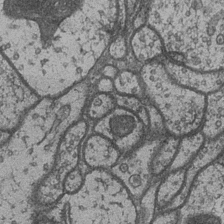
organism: Drosophila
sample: Optic medulla